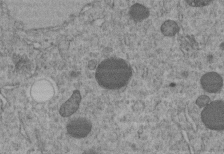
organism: C. elegans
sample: C. elegans embryo early stage